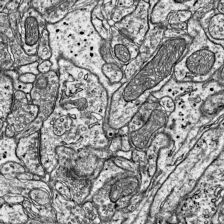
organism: Mouse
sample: Visual Cortex